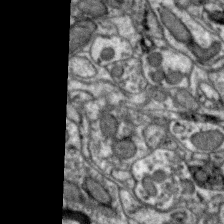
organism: Zebra finch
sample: Brain